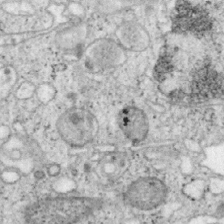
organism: Mouse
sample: OT-I killer T cells with ID8 ovarian cancer cells